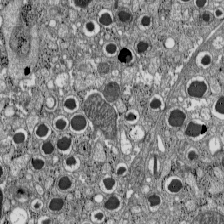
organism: C57BL Mouse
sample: Pancreatic islet